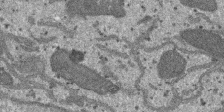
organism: Human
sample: Lung epithelial cells infected with SARS-CoV-2